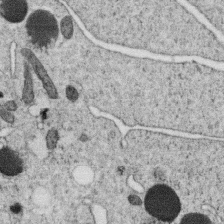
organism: C. elegans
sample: C. elegans oocyte; sperm cells